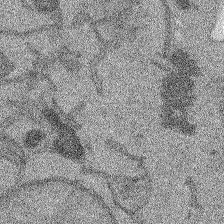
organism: Human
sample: HeLa cells